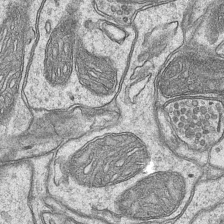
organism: Mouse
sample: CA1 Hippocampus